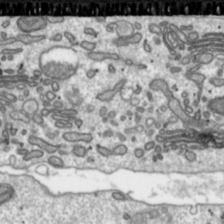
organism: Toxoplasma gondii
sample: Parasites in a vacuole inside a host cell